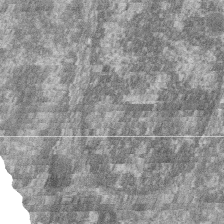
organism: Zebrafish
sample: Cilia; retinal pigment epithelium